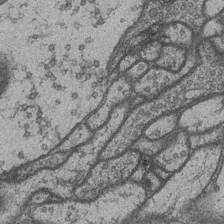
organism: Drosophila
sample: Optic medulla